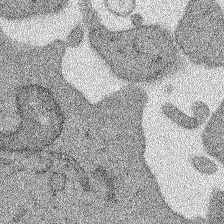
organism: Human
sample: HeLa cells